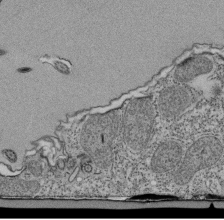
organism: Tetrahymena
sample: Cilia in tetrahymena